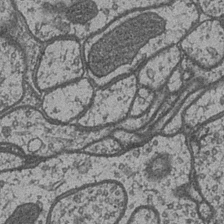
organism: Drosophila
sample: Optic medulla